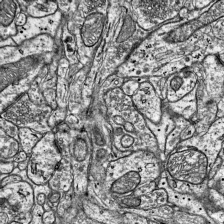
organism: Mouse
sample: Visual Cortex